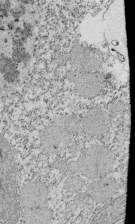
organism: Tetrahymena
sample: Cilia in tetrahymena